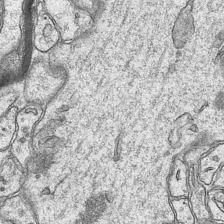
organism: Mouse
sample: CA1 Hippocampus